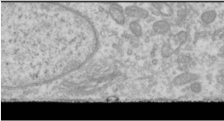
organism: Human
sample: Cilia; basal body in RPE cells